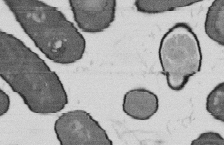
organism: B. subtilis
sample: Bacterial spore